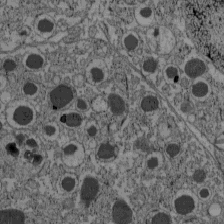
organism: C57BL Mouse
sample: Pancreatic islet